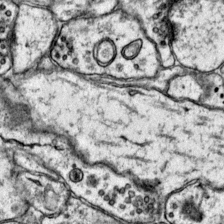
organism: Mouse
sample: Primary visual cortex